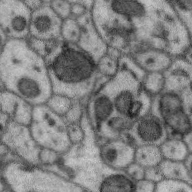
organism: Zebra finch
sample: Brain